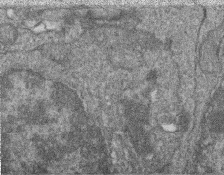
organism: Zebrafish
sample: Cilia; retinal pigment epithelium